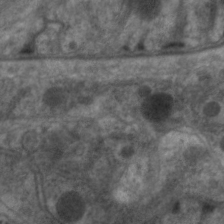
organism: C. elegans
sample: Pharynx